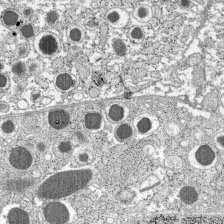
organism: C57BL Mouse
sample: Pancreatic islet